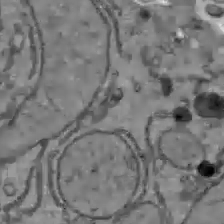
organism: C57BL Mouse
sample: Liver